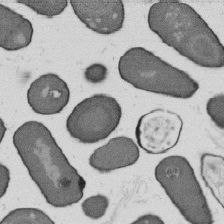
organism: B. subtilis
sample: Bacterial spore